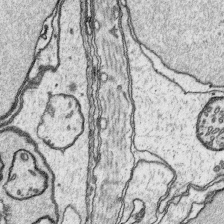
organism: Platynereis dumerilii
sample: Parapodia